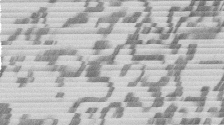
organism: Mouse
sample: Dividing mouse embryo 1 cell stage